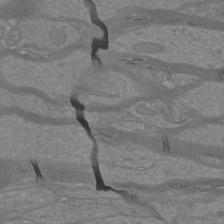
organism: Mouse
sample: Cortical neurons